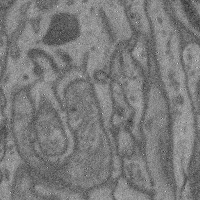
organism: Mouse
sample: Cerebral cortex